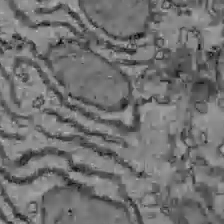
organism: C57BL Mouse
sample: Liver